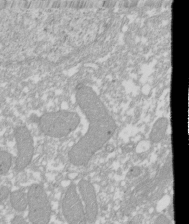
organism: Xenopus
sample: Cilia; centrioles in frog embryo cells